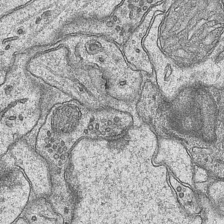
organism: Mouse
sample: CA1 Hippocampus